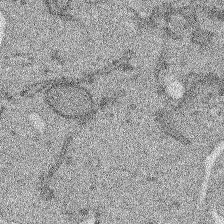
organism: Human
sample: HeLa cells